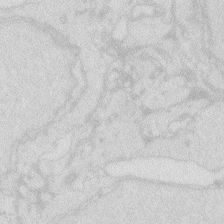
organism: Zebrafish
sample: Macrophage